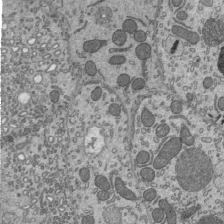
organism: Mouse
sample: Mouse epididymis efferent ductule cilia